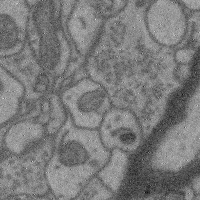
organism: Mouse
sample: Cerebral cortex